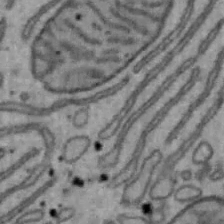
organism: Mouse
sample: Liver